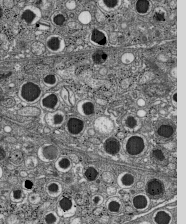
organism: C57BL Mouse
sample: Pancreatic islet